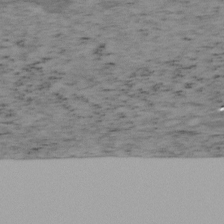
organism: Mouse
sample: OT-I killer T cells with ID8 ovarian cancer cells